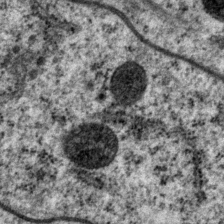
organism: P. pacificus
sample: Pharynx